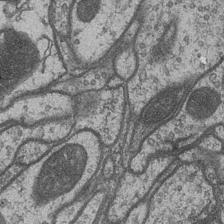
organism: Drosophila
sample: Optic medulla